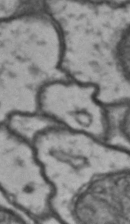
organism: Drosophila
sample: Brain